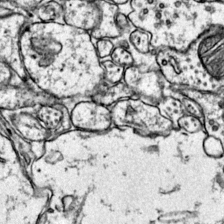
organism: Mouse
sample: Primary visual cortex